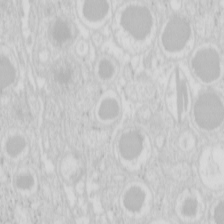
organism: Mouse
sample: Pancreas